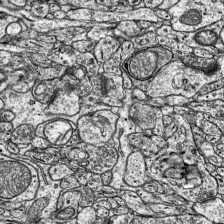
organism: Mouse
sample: Visual Cortex